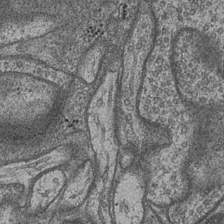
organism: Drosophila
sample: Optic medulla